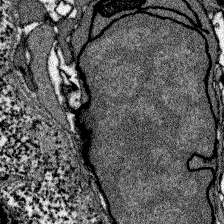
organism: Zebrafish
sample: Larval olfactory bulb